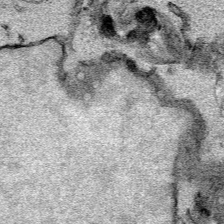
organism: Mouse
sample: Cancer cell death in ED-1 cells